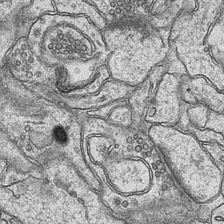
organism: Mouse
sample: CA1 Hippocampus